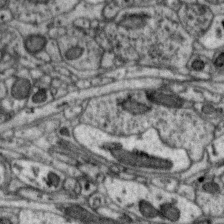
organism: Zebra finch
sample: Brain